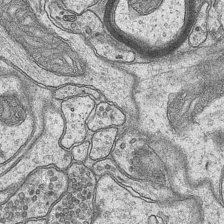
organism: Mouse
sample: CA1 Hippocampus